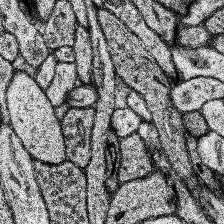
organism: Human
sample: Temporal Lobe